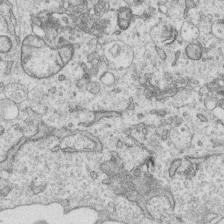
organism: Human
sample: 1205lu cells